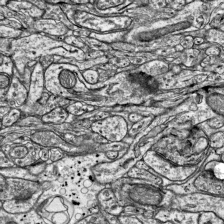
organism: Mouse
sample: Visual Cortex